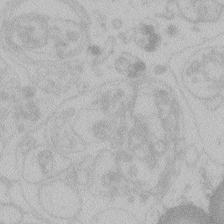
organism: Zebrafish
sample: Macrophage infected with Toxoplasma gondii